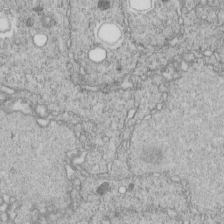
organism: C. elegans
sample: C. elegans embryo early stage